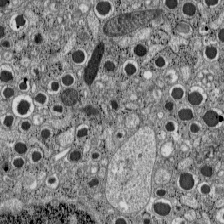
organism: C57BL Mouse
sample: Pancreatic islet